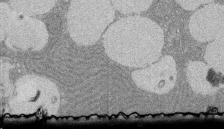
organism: Rat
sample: Salivary granule